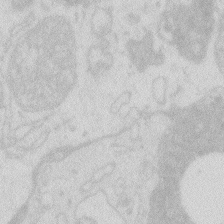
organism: Zebrafish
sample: Macrophage